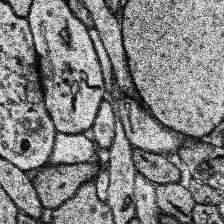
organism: Human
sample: Temporal Lobe